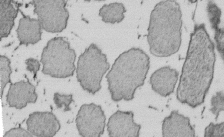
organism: E. coli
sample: Bacterial nucleoid